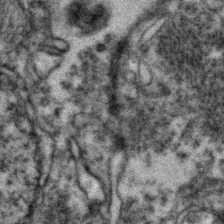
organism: Zebrafish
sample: Zebrafish embryo